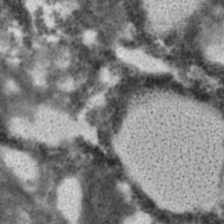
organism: C. elegans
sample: C. elegans embryo